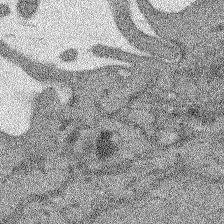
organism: Human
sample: HeLa cells